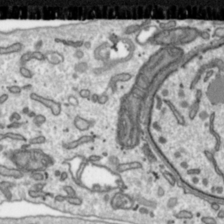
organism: Toxoplasma gondii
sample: Parasites in a vacuole inside a host cell